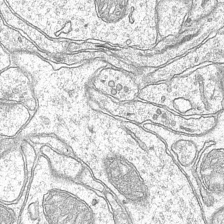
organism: Mouse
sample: CA1 Hippocampus